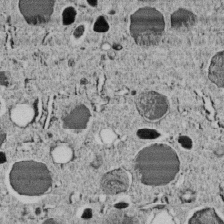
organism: C. elegans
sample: C. elegans embryo early stage